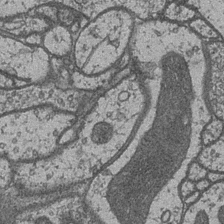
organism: Drosophila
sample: Optic medulla